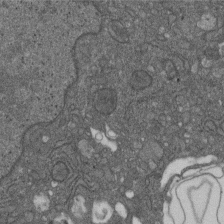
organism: Drosophila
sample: Nephrocyte